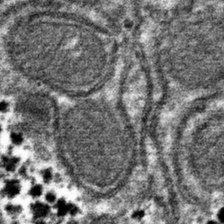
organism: Mouse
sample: Mouse hepatocytes